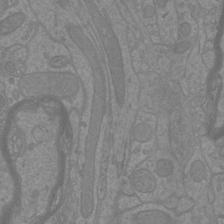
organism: Mouse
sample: Cortical neurons